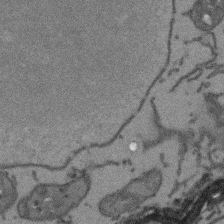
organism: Arabidopsis thaliana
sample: Root tip